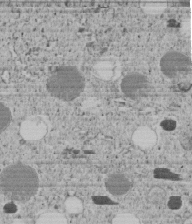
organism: C. elegans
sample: C. elegans embryo early stage